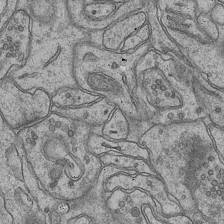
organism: Mouse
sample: CA1 Hippocampus